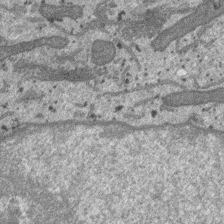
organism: Human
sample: Lung epithelial cells infected with SARS-CoV-2